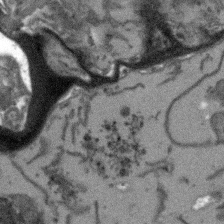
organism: Arabidopsis thaliana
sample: Root tip